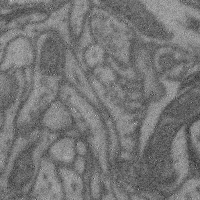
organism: Mouse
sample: Cerebral cortex